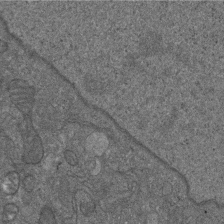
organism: Drosophila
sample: Nephrocyte